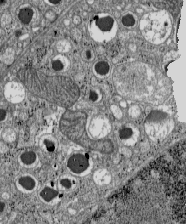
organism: C57BL Mouse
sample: Pancreatic islet